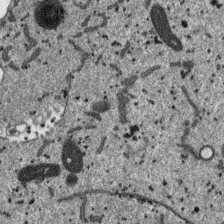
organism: Human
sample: Lung epithelial cells infected with SARS-CoV-2